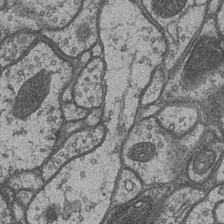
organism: Drosophila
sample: Optic medulla